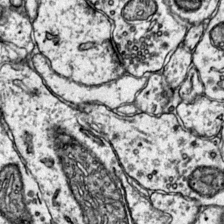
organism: Mouse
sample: Primary visual cortex